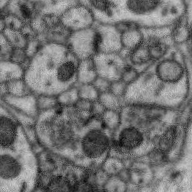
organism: Zebra finch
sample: Brain